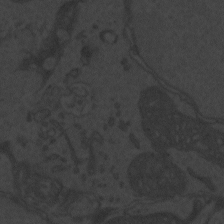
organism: Zebrafish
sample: Macrophage infected with Toxoplasma gondii